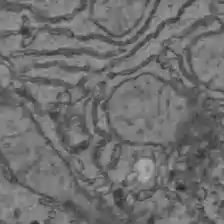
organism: C57BL Mouse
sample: Liver